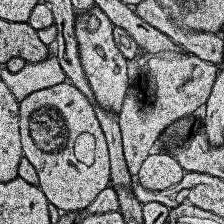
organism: Human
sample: Temporal Lobe